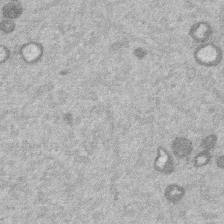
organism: Mouse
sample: Dividing mouse embryo 1 cell stage